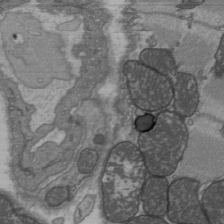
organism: C57BL Mouse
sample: Heart